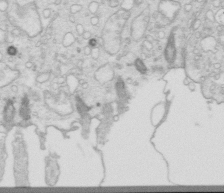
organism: Mouse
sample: Multiciliated cells